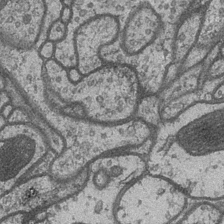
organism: Drosophila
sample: Optic medulla